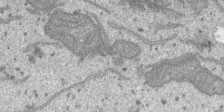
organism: Human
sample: Lung epithelial cells infected with SARS-CoV-2